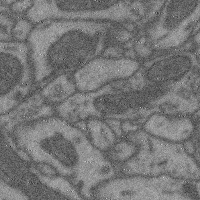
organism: Mouse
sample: Cerebral cortex